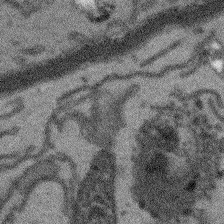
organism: Arabidopsis thaliana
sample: Root tip